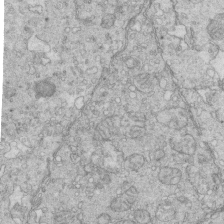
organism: Mouse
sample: Multiciliated cells